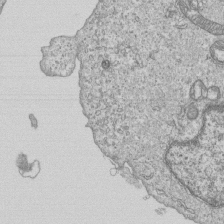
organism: Human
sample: MDA-MB-231 cells